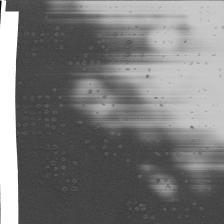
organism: Mouse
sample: Cilia; mouse epididymis